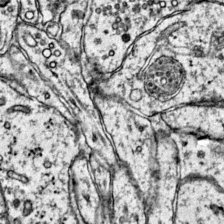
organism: Mouse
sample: Primary visual cortex